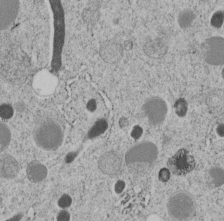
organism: C. elegans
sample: C. elegans embryo early stage